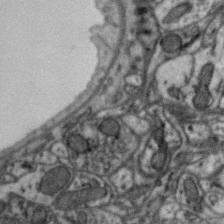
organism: Zebra finch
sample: Brain